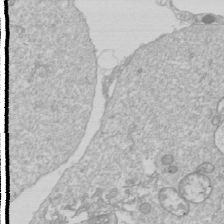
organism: Drosophila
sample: Cell division; meiosis; drosophila spermatocytes